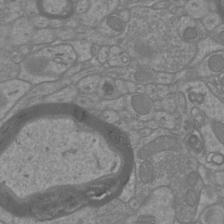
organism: Mouse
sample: Cortical neurons